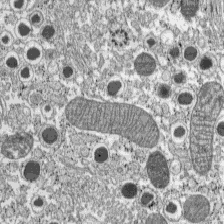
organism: C57BL Mouse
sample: Pancreatic islet